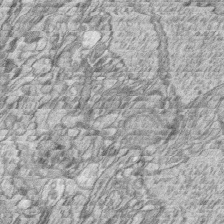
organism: Zebrafish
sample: synaptic ribbons in rod cells and cone cells